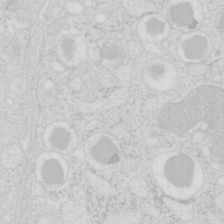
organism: Mouse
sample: Pancreas